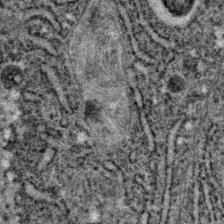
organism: C. elegans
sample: C. elegans embryo